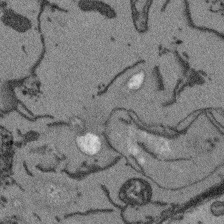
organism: Arabidopsis thaliana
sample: Root tip